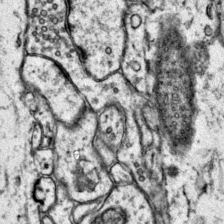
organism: Mouse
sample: Primary visual cortex